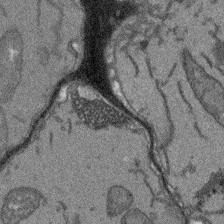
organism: Arabidopsis thaliana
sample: Root tip